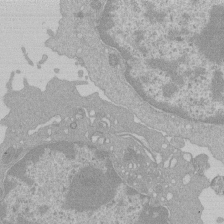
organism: Mouse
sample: Activated Pmel transgenic CD8+ T Cells